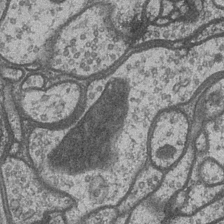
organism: Drosophila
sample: Optic medulla